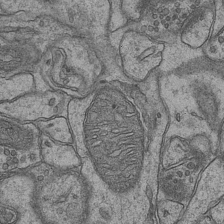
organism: Mouse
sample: CA1 Hippocampus